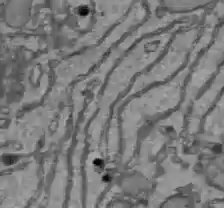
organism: C57BL Mouse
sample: Liver